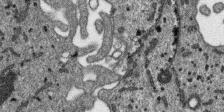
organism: Human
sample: Lung epithelial cells infected with SARS-CoV-2